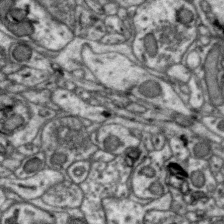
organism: Zebra finch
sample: Brain